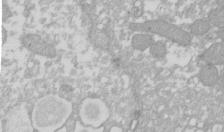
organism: Xenopus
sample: Cilia; centrioles in frog embryo cells